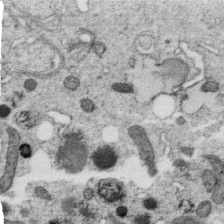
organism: C. elegans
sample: C. elegans oocyte; sperm cells